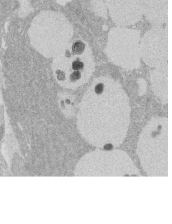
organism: Rat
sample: Salivary granule